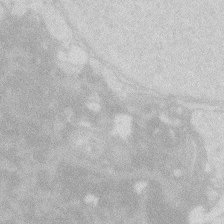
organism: Zebrafish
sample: Macrophage